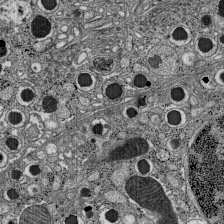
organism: C57BL Mouse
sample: Pancreatic islet